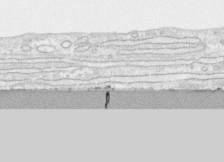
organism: Human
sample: CRL-1474